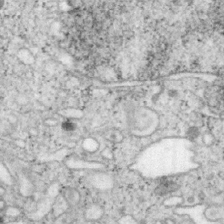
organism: Mouse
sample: OT-I killer T cells with ID8 ovarian cancer cells